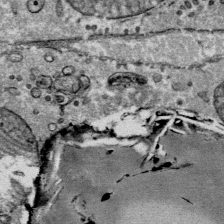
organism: Mouse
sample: Mouse Salivary gland